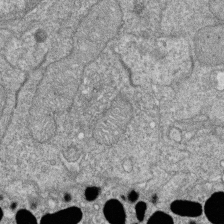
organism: Zebrafish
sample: Cilia; retinal pigment epithelium